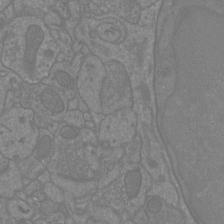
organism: Mouse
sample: Cortical neurons